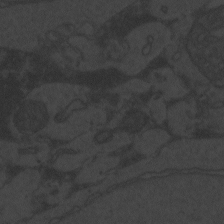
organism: Zebrafish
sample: Macrophage infected with Toxoplasma gondii